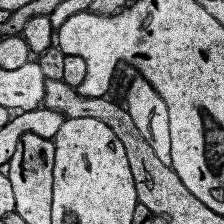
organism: Human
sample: Temporal Lobe